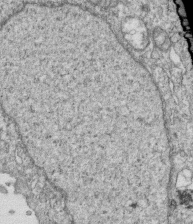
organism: Human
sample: HeLa cell HIV synapse